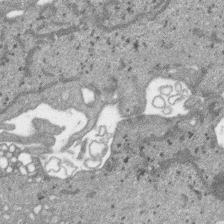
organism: Human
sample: Lung epithelial cells infected with SARS-CoV-2